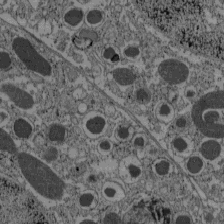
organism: C57BL Mouse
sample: Pancreatic islet